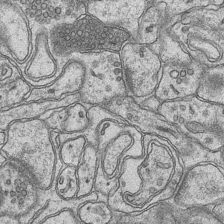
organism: Mouse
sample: CA1 Hippocampus